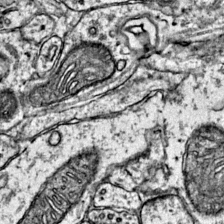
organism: Mouse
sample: Primary visual cortex